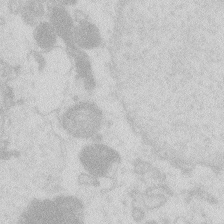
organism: Zebrafish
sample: Macrophage